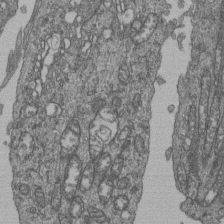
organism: Human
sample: Retinal organoid Rod and Cone cells